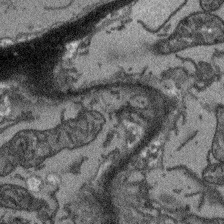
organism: Arabidopsis thaliana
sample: Root tip